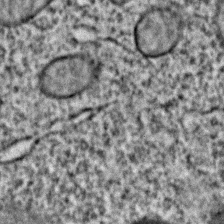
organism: C. elegans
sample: C. elegans embryo